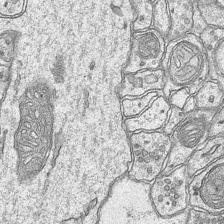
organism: Mouse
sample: CA1 Hippocampus